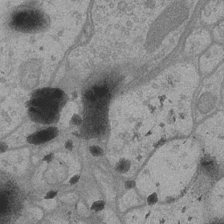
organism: Drosophila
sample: Optic medulla